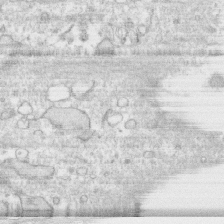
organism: Human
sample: CRL-1474